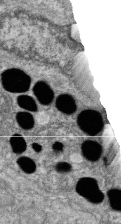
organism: Zebrafish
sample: Cilia; retinal pigment epithelium